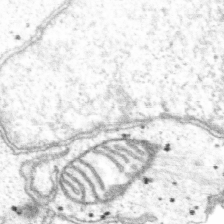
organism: Human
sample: HeLa cells